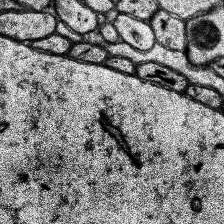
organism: Human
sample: Temporal Lobe